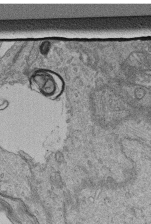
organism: Human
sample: Retinal organoid Rod and Cone cells